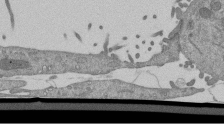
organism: Mouse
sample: ED-1 cell nuclei; centrioles